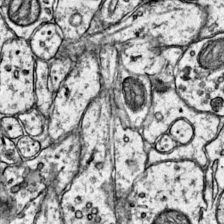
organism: Mouse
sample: Primary visual cortex